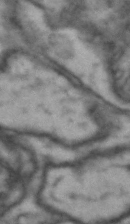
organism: Drosophila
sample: Brain